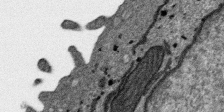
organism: Human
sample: Lung epithelial cells, uninfected (mock) control